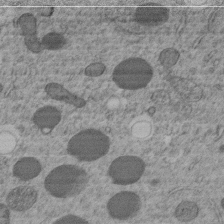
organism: C. elegans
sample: C. elegans embryo early stage